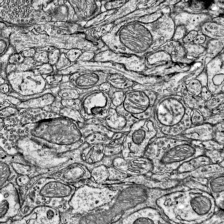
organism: Mouse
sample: Visual Cortex